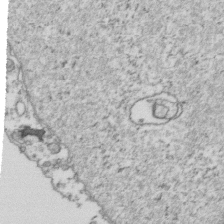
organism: Human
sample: Activated Jurkat CD4+ T cells